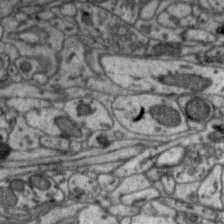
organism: Zebra finch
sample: Brain